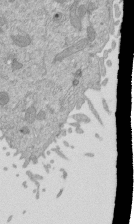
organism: Mouse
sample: ED-1 cell nuclei; centrioles